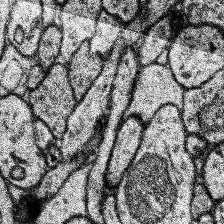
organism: Human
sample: Temporal Lobe